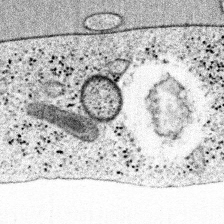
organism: Human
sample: HeLa cells